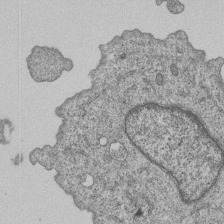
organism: Human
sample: MDA-MB-231 cells